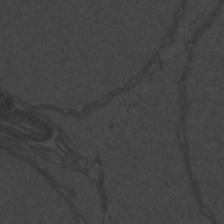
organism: Zebrafish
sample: Macrophage infected with Toxoplasma gondii